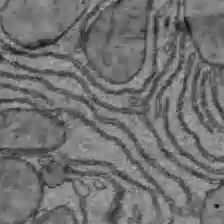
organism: C57BL Mouse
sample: Liver